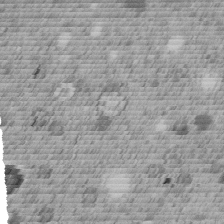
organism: C. elegans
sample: C. elegans embryo early stage